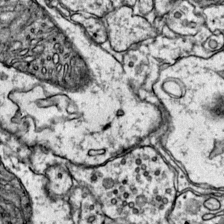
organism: Mouse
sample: Primary visual cortex